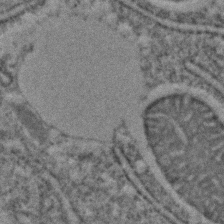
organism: C. elegans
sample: C. elegans embryo